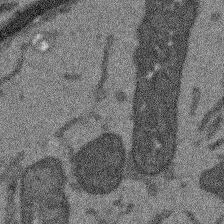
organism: Arabidopsis thaliana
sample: Root tip